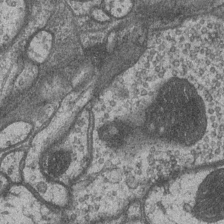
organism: Drosophila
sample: Optic medulla